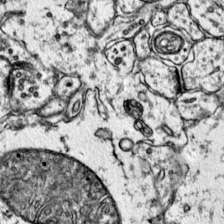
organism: Mouse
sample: Primary visual cortex